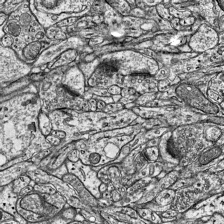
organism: Mouse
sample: Visual Cortex